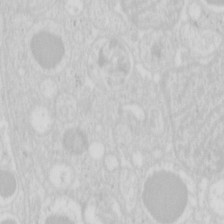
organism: Mouse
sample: Pancreas